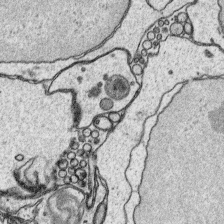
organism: Platynereis dumerilii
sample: Parapodia